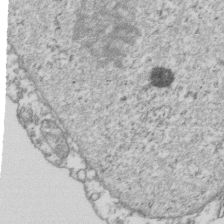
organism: Human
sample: Activated Jurkat CD4+ T cells